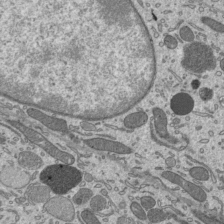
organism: Mouse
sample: Mouse epididymis efferent ductule cilia